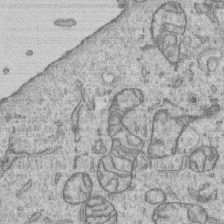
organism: Human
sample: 1205lu cells